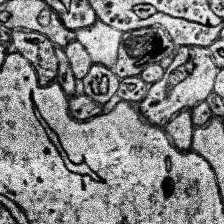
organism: Human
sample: Temporal Lobe